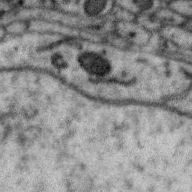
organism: Zebra finch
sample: Brain